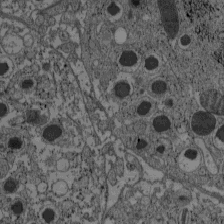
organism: C57BL Mouse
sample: Pancreatic islet